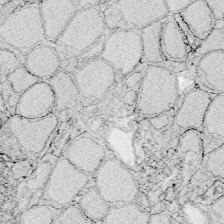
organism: Zebrafish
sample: Whole-Brain